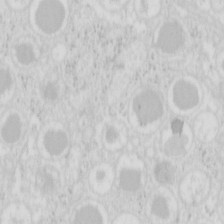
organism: Mouse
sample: Pancreas